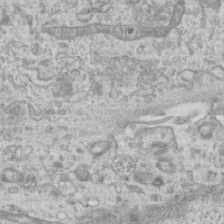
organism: Mouse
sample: Centriole in ependymal cells